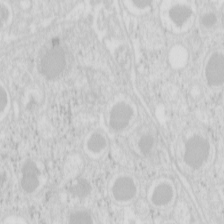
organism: Mouse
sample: Pancreas